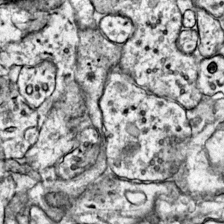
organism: Mouse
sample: Primary visual cortex